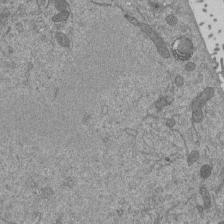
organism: Mouse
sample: ED-1 cell nuclei; centrioles